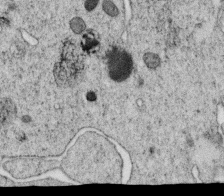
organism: C. elegans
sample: C. elegans oocyte; sperm cells